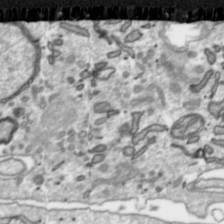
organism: Toxoplasma gondii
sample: Parasites in a vacuole inside a host cell